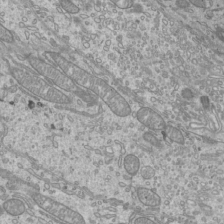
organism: Mouse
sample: Cilia; mouse epididymis